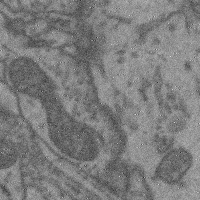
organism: Mouse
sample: Cerebral cortex